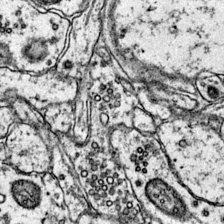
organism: Mouse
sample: Primary visual cortex